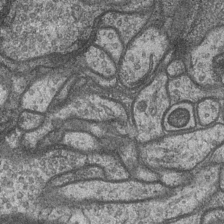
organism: Drosophila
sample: Optic medulla